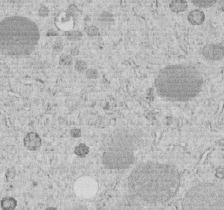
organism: C. elegans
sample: C. elegans embryo early stage